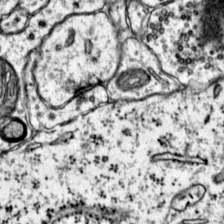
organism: Mouse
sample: Primary visual cortex